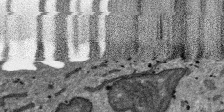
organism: Human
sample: Lung epithelial cells, uninfected (mock) control